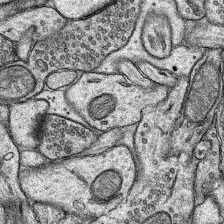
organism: Rat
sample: Hippocampus